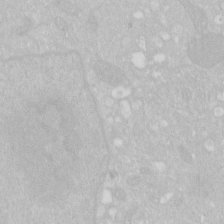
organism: Human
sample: HIV infected U937 cells